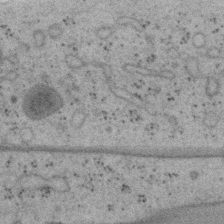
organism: Human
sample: HeLa cells